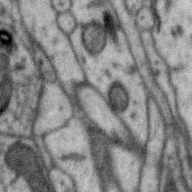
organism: Zebra finch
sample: Brain